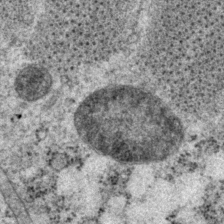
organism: P. pacificus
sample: Pharynx